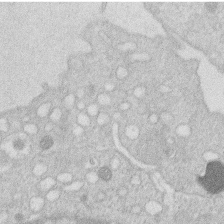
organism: Human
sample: Macrophage cells